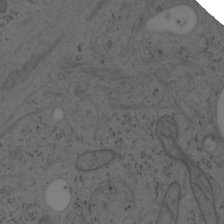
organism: Mouse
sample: OT-I killer T cells with ID8 ovarian cancer cells